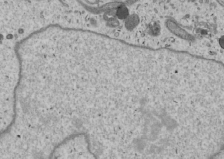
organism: Human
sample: Mitochondria in U2OS cells